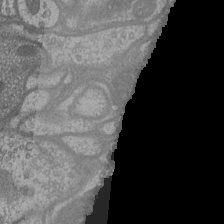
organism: Drosophila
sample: Optic medulla